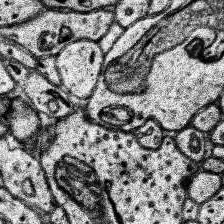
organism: Human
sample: Temporal Lobe